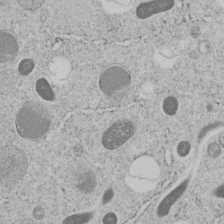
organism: C. elegans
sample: C. elegans embryo early stage